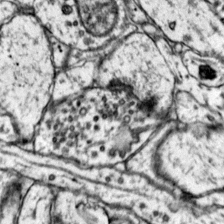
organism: Mouse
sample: Primary visual cortex